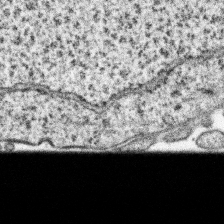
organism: Human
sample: HeLa cells